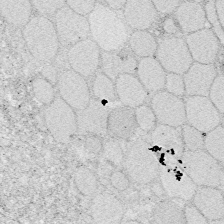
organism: Zebrafish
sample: Whole-Brain